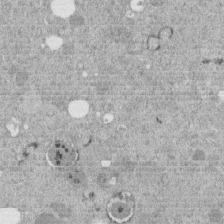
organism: C. elegans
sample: C. elegans embryo early stage